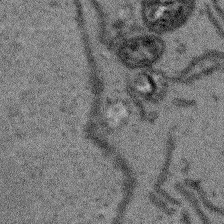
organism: Arabidopsis thaliana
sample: Root tip